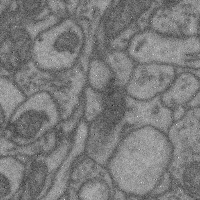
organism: Mouse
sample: Cerebral cortex